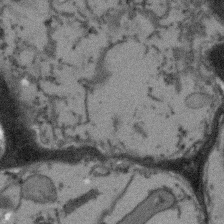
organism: Arabidopsis thaliana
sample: Root tip